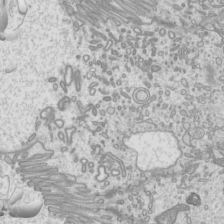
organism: Mouse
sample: Cilia; mouse epididymis